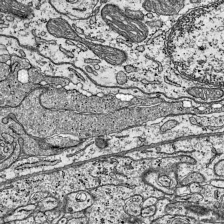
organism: Mouse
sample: Visual Cortex